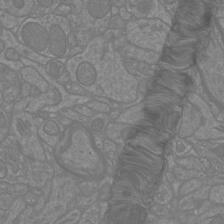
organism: Mouse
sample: Cortical neurons